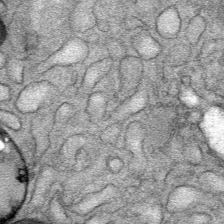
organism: Mouse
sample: Mouse Salivary gland